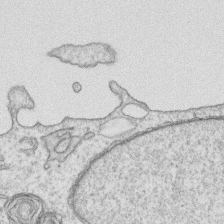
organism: Human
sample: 1205lu cells